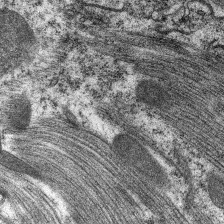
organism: C. elegans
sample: Pharynx